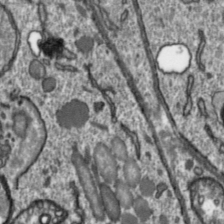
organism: Toxoplasma gondii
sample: Parasites in a vacuole inside a host cell